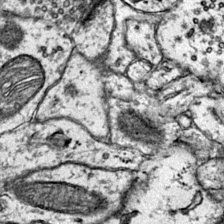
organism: Mouse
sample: Primary visual cortex